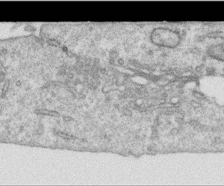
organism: Human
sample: Centriole in RPE cells